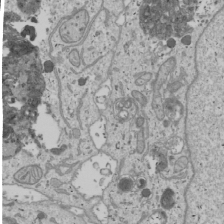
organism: Human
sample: Mitochondria in U2OS cells